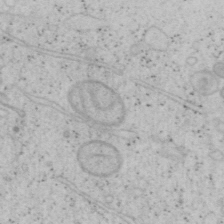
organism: Human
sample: HeLa cells